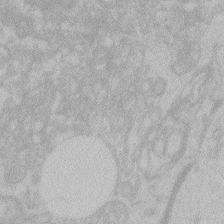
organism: Zebrafish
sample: Macrophage infected with Toxoplasma gondii